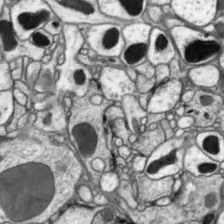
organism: Drosophila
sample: Optic lobe